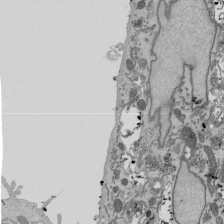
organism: Mouse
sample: ED-1 cell nuclei; centrioles